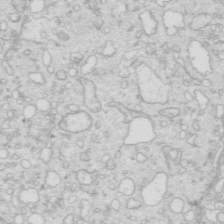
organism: Mouse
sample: Multiciliated cells